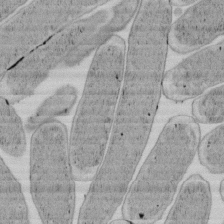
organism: E. coli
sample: Bacterial nucleoid